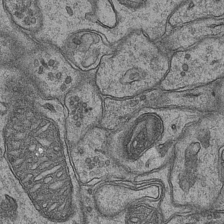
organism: Mouse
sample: CA1 Hippocampus